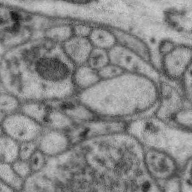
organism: Zebra finch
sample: Brain